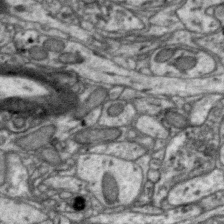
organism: Zebra finch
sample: Brain